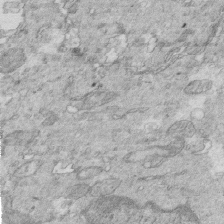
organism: Mouse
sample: Multiciliated cells